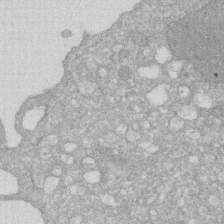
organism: Human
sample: HIV infected U937 cells